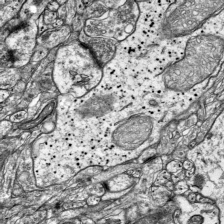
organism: Mouse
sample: Visual Cortex